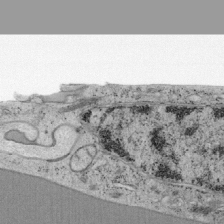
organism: Human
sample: HeLa cells